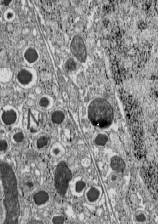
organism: C57BL Mouse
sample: Pancreatic islet